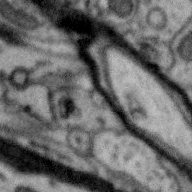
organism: Zebra finch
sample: Brain